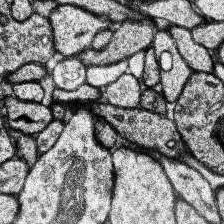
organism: Human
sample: Temporal Lobe